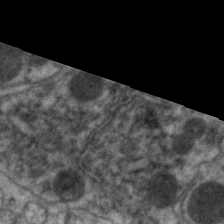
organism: C. elegans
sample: Pharynx